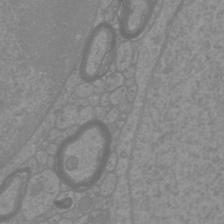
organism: Mouse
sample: Cortical neurons